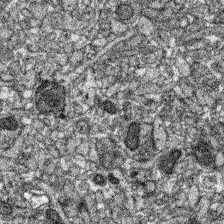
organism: Zebrafish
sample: Larval olfactory bulb